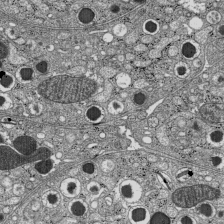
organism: C57BL Mouse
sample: Pancreatic islet